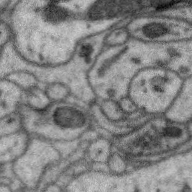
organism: Zebra finch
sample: Brain